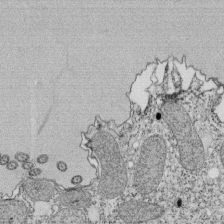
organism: Tetrahymena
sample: Cilia in tetrahymena